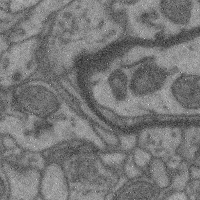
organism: Mouse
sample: Cerebral cortex